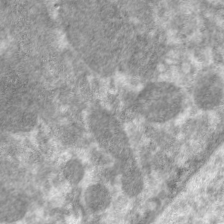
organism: C. elegans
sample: Pharynx